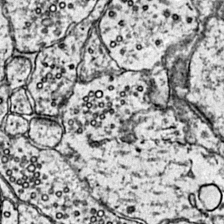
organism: Mouse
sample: Primary visual cortex